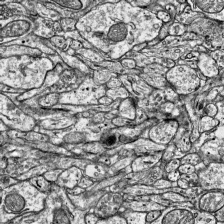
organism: Mouse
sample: Visual Cortex